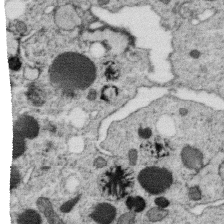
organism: C. elegans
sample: C. elegans oocyte; sperm cells